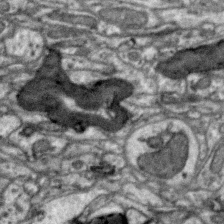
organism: Zebra finch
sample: Brain